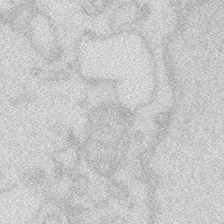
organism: Zebrafish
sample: Macrophage